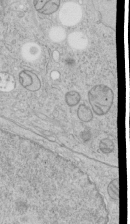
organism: Human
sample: Mitochondria in HCT116 cells